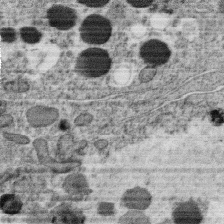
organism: C. elegans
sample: C. elegans oocyte; sperm cells